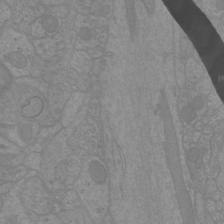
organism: Mouse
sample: Cortical neurons